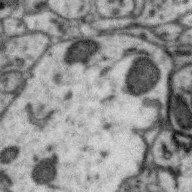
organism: Zebra finch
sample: Brain